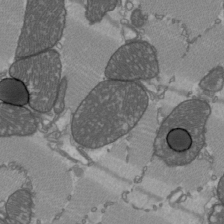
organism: C57BL Mouse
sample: Heart